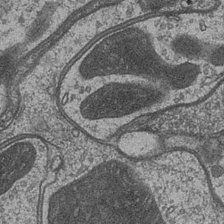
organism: Drosophila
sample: Optic medulla